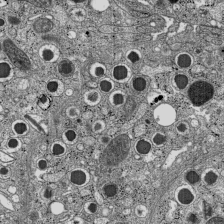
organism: C57BL Mouse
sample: Pancreatic islet